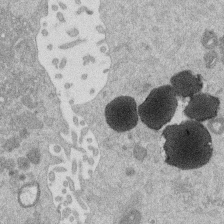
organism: Mouse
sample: Dividing mouse embryo 1 cell stage